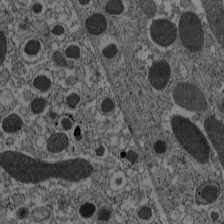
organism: C57BL Mouse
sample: Pancreatic islet